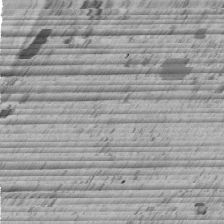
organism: C. elegans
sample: C. elegans embryo early stage